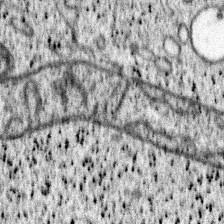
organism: Human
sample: HeLa cells